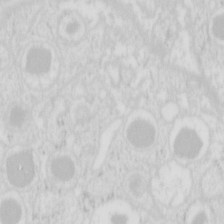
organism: Mouse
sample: Pancreas